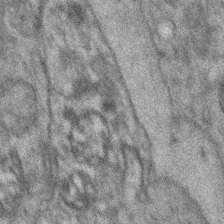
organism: Zebrafish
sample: Zebrafish embryo